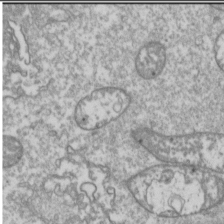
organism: Drosophila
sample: Cell division; meiosis; drosophila spermatocytes